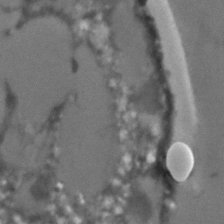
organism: C. elegans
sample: C. elegans embryo